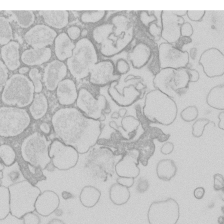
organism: Xenopus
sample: Cilia; centrioles in frog embryo cells